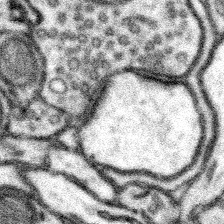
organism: Mouse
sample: Somatosensory cortex neuropil